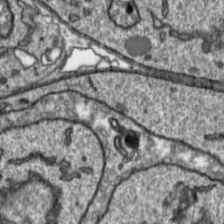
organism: Toxoplasma gondii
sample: Parasites in a vacuole inside a host cell